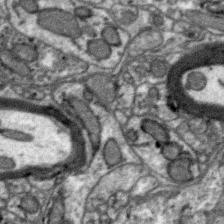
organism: Zebra finch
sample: Brain